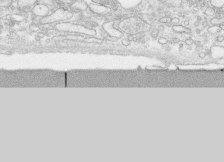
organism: Human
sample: CRL-1474